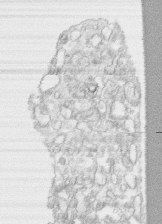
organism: Human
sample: CRL-1474